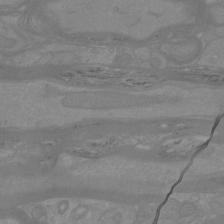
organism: Mouse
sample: Cortical neurons